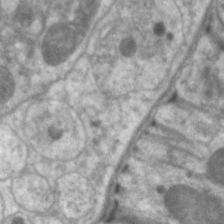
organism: C. elegans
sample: Pharynx